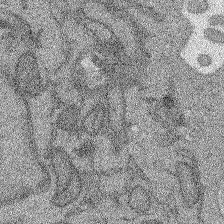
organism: Human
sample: HeLa cells